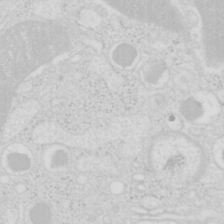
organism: Mouse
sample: Pancreas